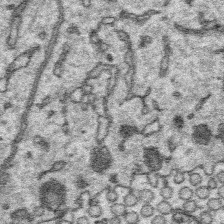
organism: Platynereis dumerilii